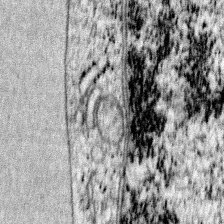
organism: Human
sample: HeLa cells